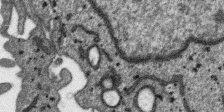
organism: Human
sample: Lung epithelial cells infected with SARS-CoV-2